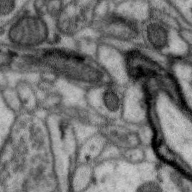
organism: Zebra finch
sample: Brain